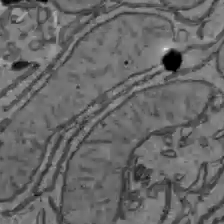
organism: C57BL Mouse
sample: Liver